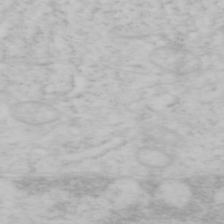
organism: Mouse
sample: OT-I killer T cells with ID8 ovarian cancer cells